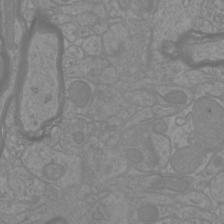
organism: Mouse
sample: Cortical neurons